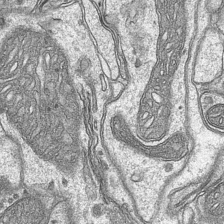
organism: Mouse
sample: CA1 Hippocampus